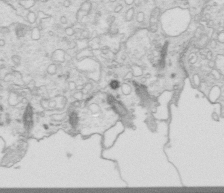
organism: Mouse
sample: Multiciliated cells